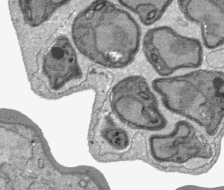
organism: Plasmodium falciparum